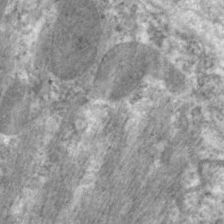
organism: C. elegans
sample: Pharynx